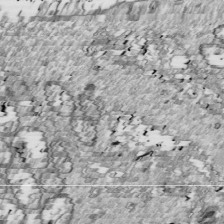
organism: Drosophila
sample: Cell division; meiosis; drosophila spermatocytes